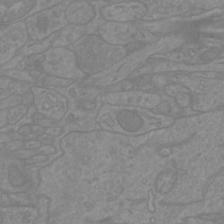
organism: Mouse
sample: Cortical neurons